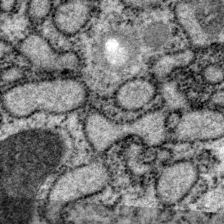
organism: P. pacificus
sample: Pharynx